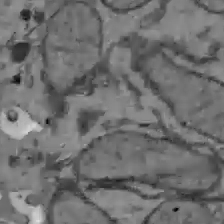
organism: C57BL Mouse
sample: Liver